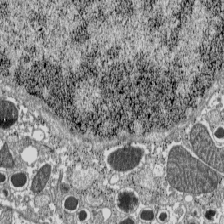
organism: C57BL Mouse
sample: Pancreatic islet